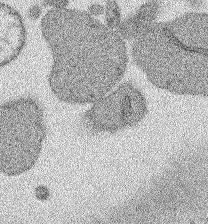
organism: Human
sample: HeLa cells